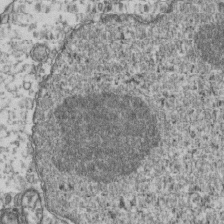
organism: Human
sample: Activated Jurkat CD4+ T cells